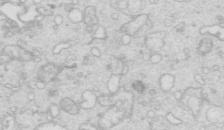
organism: Mouse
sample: Multiciliated cells